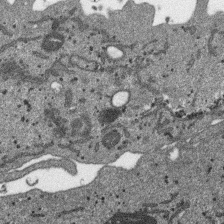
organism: Human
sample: Lung epithelial cells infected with SARS-CoV-2